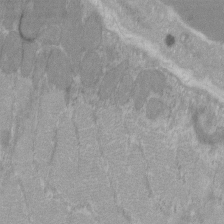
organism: C57BL Mouse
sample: Tibialis anterior muscle cell